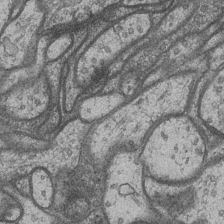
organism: Drosophila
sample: Optic medulla